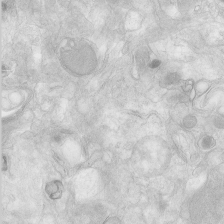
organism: Human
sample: Neocortex